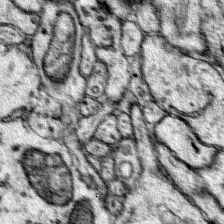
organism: Mouse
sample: Primary visual cortex